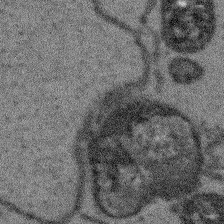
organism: Arabidopsis thaliana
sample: Root tip